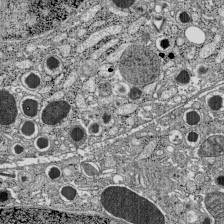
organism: C57BL Mouse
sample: Pancreatic islet